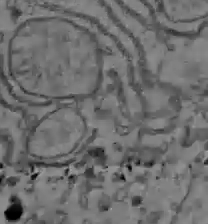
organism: C57BL Mouse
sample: Liver